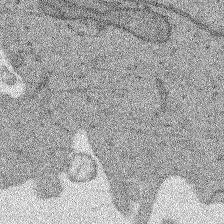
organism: Human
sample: HeLa cells